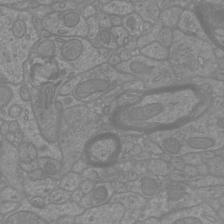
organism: Mouse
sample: Cortical neurons